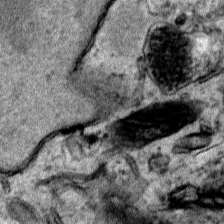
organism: Human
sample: Mitochondria in HCT116 cells